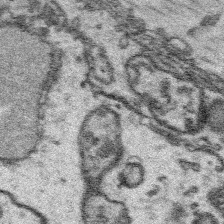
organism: Platynereis dumerilii